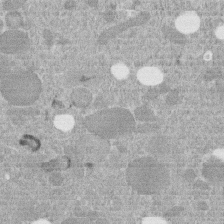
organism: C. elegans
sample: C. elegans embryo early stage